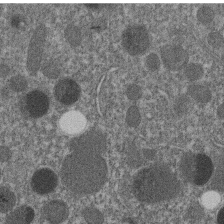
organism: C. elegans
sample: C. elegans embryo early stage